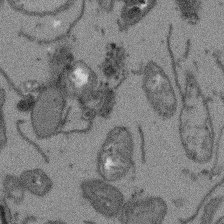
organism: Arabidopsis thaliana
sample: Root tip